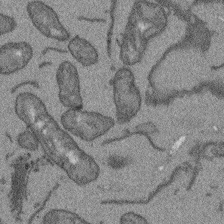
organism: Arabidopsis thaliana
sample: Root tip